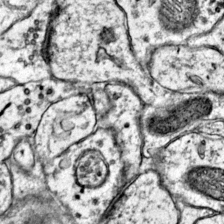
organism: Mouse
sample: Primary visual cortex